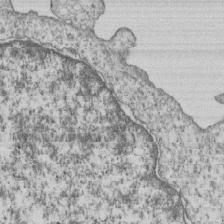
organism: Human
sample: MDA-MB-231 cells